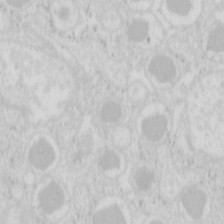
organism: Mouse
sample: Pancreas